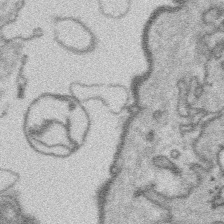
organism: Platynereis dumerilii